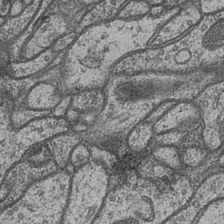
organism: Drosophila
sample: Optic medulla